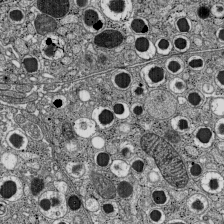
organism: C57BL Mouse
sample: Pancreatic islet